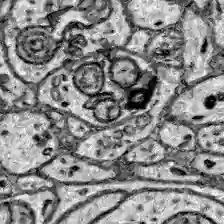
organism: Zebrafish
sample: Brain